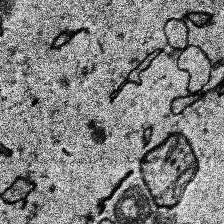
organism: Human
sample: Temporal Lobe